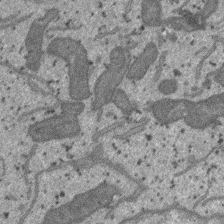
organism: Human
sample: Lung epithelial cells infected with SARS-CoV-2